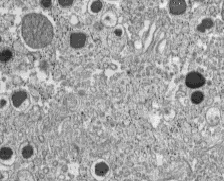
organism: C57BL Mouse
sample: Pancreatic islet